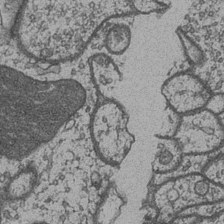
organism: Drosophila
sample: Optic medulla